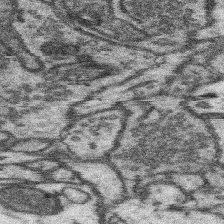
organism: Mouse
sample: Somatosensory cortex neuropil